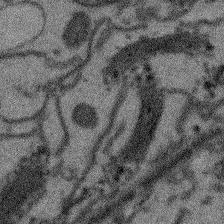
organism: Arabidopsis thaliana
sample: Root tip